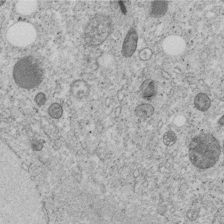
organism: C. elegans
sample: C. elegans embryo early stage